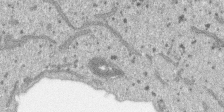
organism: Human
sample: Lung epithelial cells infected with SARS-CoV-2